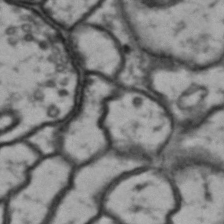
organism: Drosophila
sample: Brain